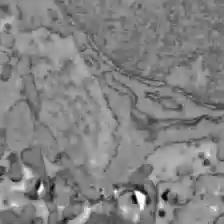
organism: C57BL Mouse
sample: Liver